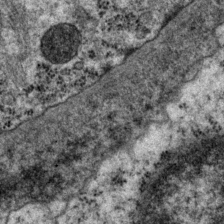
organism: P. pacificus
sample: Pharynx